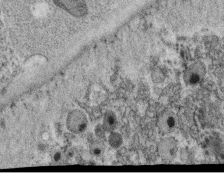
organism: C. elegans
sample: C. elegans oocyte; sperm cells